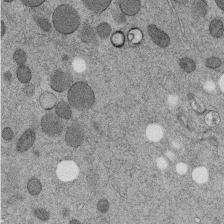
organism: C. elegans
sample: C. elegans embryo early stage